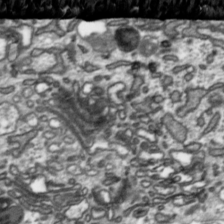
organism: Toxoplasma gondii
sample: Parasites in a vacuole inside a host cell